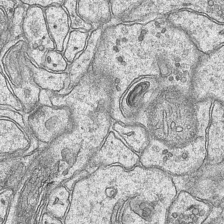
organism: Mouse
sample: CA1 Hippocampus